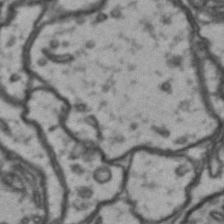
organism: Drosophila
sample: Brain